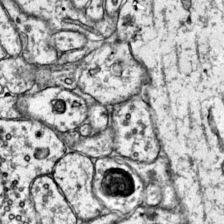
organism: Mouse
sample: Primary visual cortex